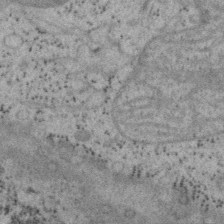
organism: Human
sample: HeLa cells